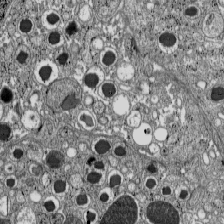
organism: C57BL Mouse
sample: Pancreatic islet